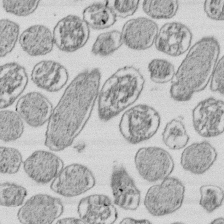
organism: E. coli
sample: Bacterial nucleoid